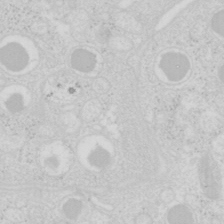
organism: Mouse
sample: Pancreas